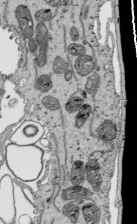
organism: Human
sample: Mitochondria in HCT116 cells